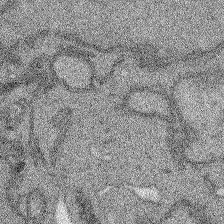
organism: Human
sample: HeLa cells